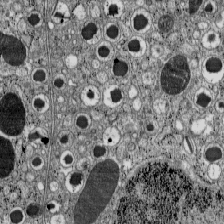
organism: C57BL Mouse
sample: Pancreatic islet